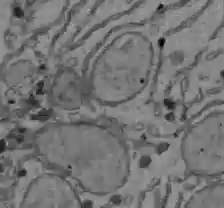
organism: C57BL Mouse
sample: Liver